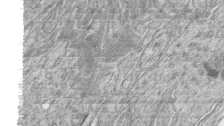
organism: Zebrafish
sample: synaptic ribbons in rod cells and cone cells